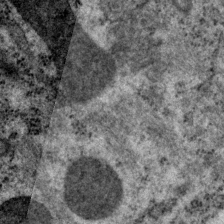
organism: P. pacificus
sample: Pharynx